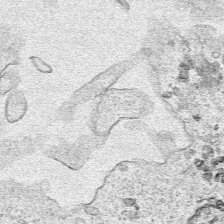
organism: Human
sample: Mitochondria in HCT116 cells